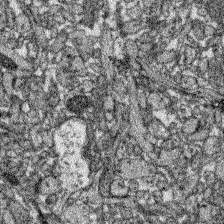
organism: Zebrafish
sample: Larval olfactory bulb